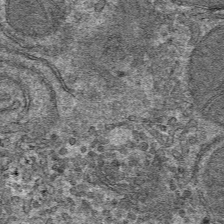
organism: Mouse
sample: Mouse hepatocytes